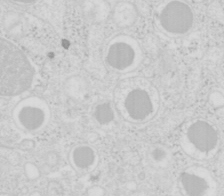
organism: Mouse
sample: Pancreas